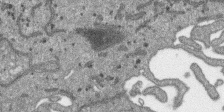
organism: Human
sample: Lung epithelial cells infected with SARS-CoV-2